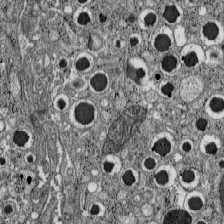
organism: C57BL Mouse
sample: Pancreatic islet